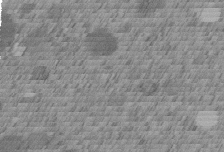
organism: C. elegans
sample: C. elegans embryo early stage